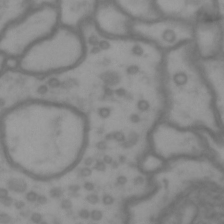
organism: Drosophila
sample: Brain